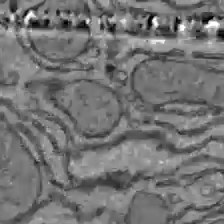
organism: C57BL Mouse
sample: Liver